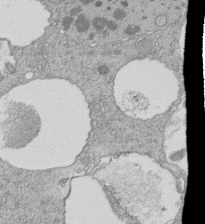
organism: Tetrahymena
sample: Cilia in tetrahymena